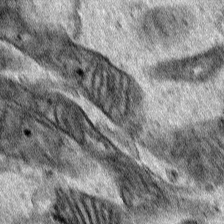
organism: Human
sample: Mitochondria in HCT116 cells